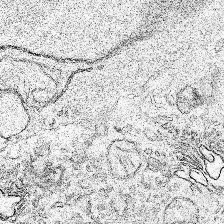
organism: Human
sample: Mitochondria in HCT116 cells